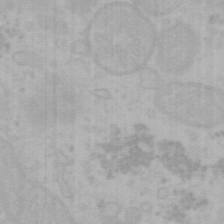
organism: Mouse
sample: Choroid plexus